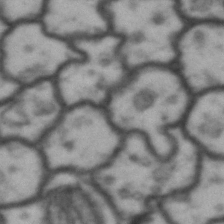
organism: Drosophila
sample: Brain